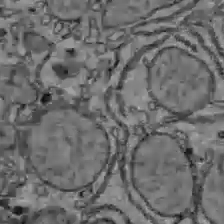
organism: C57BL Mouse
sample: Liver